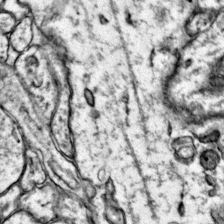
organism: Mouse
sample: Primary visual cortex